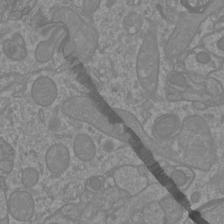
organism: Mouse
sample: Cortical neurons